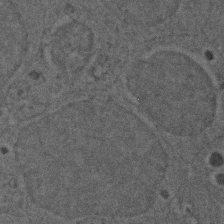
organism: Zebrafish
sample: Zebrafish embryo